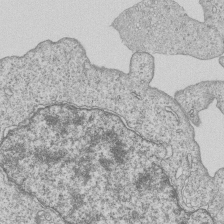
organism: Human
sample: MDA-MB-231 cells